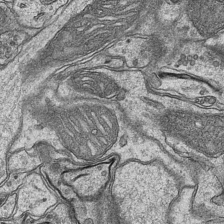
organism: Mouse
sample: CA1 Hippocampus